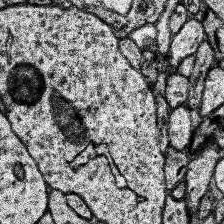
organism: Human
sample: Temporal Lobe